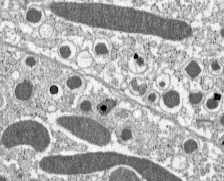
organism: C57BL Mouse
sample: Pancreatic islet